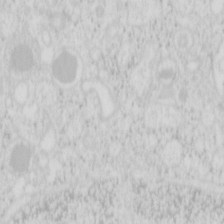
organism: Mouse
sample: Pancreas